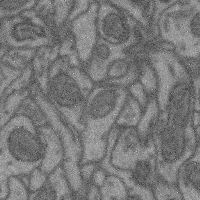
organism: Mouse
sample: Cerebral cortex